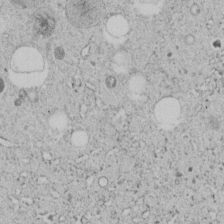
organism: C. elegans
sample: C. elegans embryo early stage